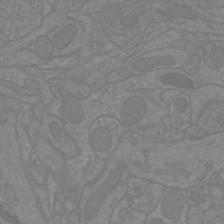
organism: Mouse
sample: Cortical neurons